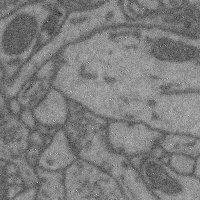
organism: Mouse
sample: Cerebral cortex